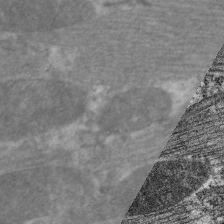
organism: C. elegans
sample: Pharynx